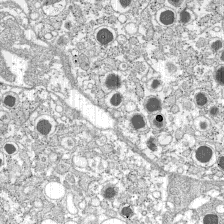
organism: C57BL Mouse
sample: Pancreatic islet